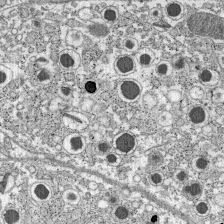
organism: C57BL Mouse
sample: Pancreatic islet